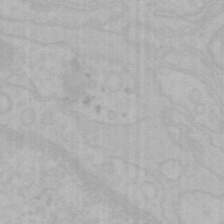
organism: Mouse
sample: Choroid plexus